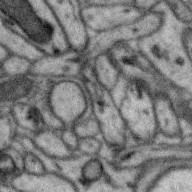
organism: Zebra finch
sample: Brain